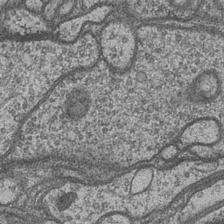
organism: Drosophila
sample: Optic medulla